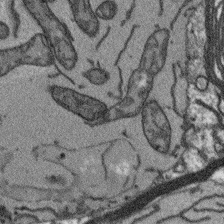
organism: Arabidopsis thaliana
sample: Root tip